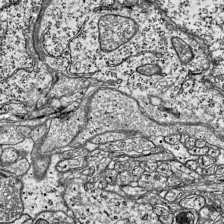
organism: Mouse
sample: Visual Cortex